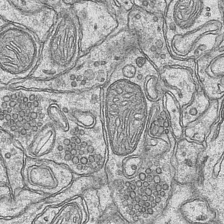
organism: Mouse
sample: CA1 Hippocampus